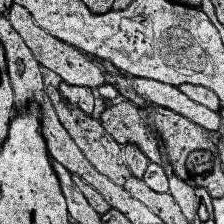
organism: Human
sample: Temporal Lobe